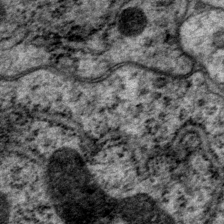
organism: P. pacificus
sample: Pharynx